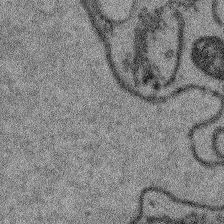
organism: Arabidopsis thaliana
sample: Root tip